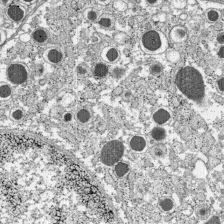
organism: C57BL Mouse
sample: Pancreatic islet